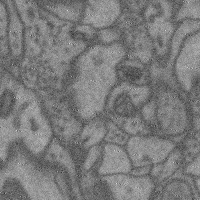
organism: Mouse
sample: Cerebral cortex